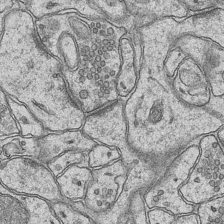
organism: Mouse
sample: CA1 Hippocampus